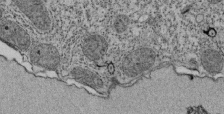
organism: Tetrahymena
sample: Cilia in tetrahymena